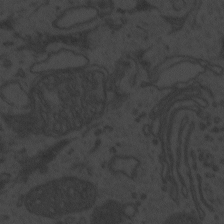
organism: Zebrafish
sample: Macrophage infected with Toxoplasma gondii